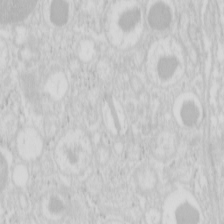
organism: Mouse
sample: Pancreas